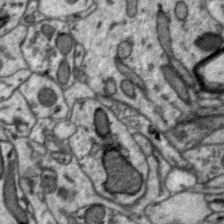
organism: Zebra finch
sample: Brain